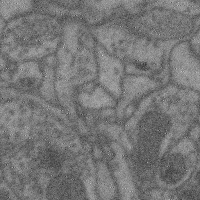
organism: Mouse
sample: Cerebral cortex